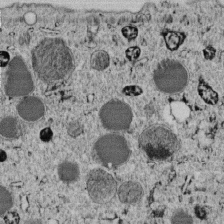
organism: C. elegans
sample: C. elegans embryo early stage